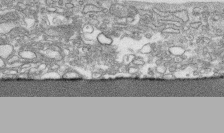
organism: Human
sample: CRL-1474